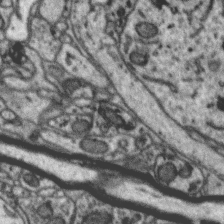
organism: Zebra finch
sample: Brain